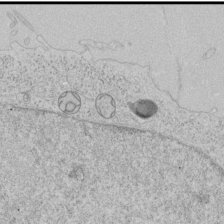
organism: Human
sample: Mitochondria in HCT116 cells